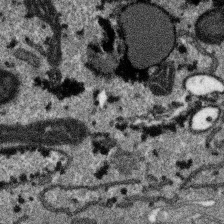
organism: Human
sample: Lung epithelial cells infected with SARS-CoV-2